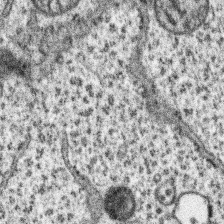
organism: Human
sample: HeLa cells